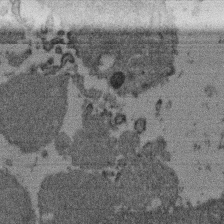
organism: Mouse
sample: Dividing mouse embryo 1 cell stage